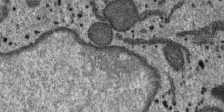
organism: Human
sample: Lung epithelial cells, uninfected (mock) control